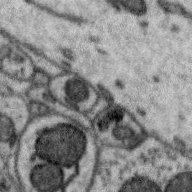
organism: Zebra finch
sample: Brain